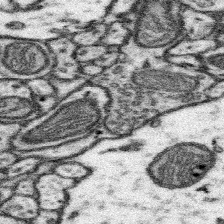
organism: Mouse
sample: Somatosensory cortex neuropil